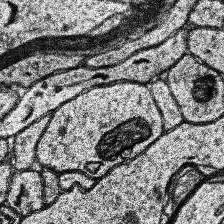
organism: Human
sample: Temporal Lobe